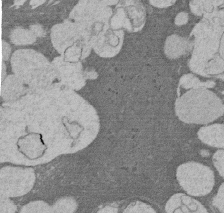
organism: Rat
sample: Salivary granule